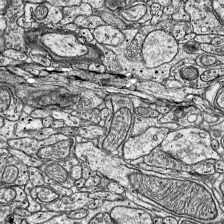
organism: Mouse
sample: Visual Cortex